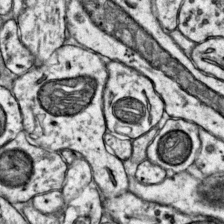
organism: Mouse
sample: Primary visual cortex